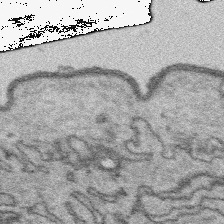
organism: Platynereis dumerilii